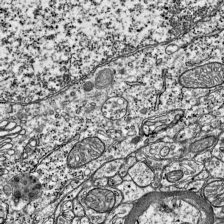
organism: Mouse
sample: Visual Cortex